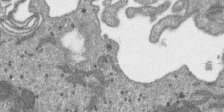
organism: Human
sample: Lung epithelial cells infected with SARS-CoV-2